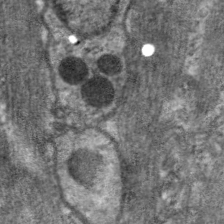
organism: C. elegans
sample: Pharynx